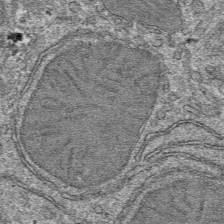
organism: Mouse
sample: Mouse hepatocytes